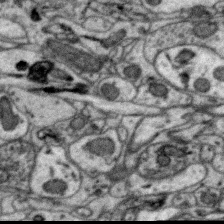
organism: Zebra finch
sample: Brain